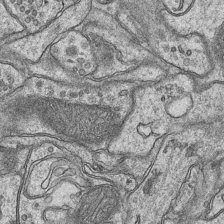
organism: Mouse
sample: CA1 Hippocampus